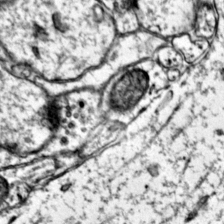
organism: Mouse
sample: Primary visual cortex